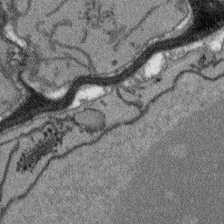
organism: Arabidopsis thaliana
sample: Root tip